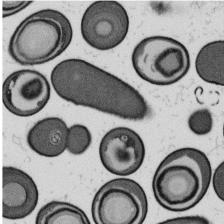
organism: B. subtilis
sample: Bacterial spore